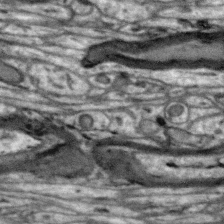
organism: Zebra finch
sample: Brain